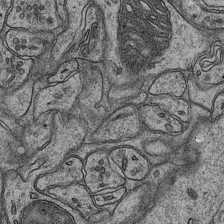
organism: Mouse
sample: CA1 Hippocampus